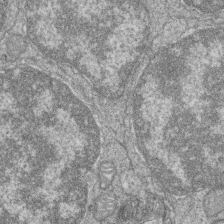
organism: Zebrafish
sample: Cilia; retinal pigment epithelium